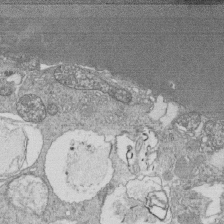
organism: Tetrahymena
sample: Cilia in tetrahymena